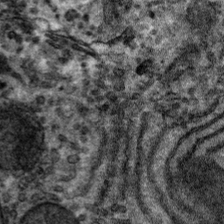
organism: Mouse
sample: Mouse hepatocytes